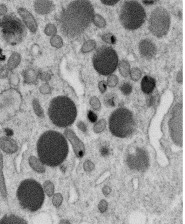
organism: C. elegans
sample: C. elegans oocyte; sperm cells